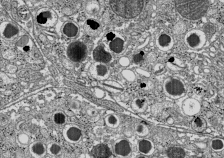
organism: C57BL Mouse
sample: Pancreatic islet